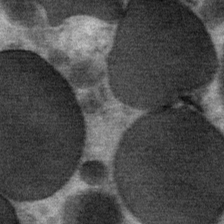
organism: Mouse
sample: Mouse Salivary gland